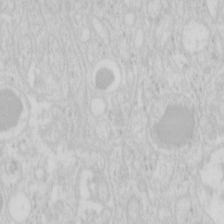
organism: Mouse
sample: Pancreas